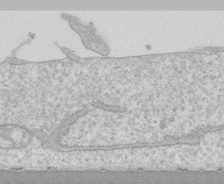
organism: Human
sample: CRL-1474